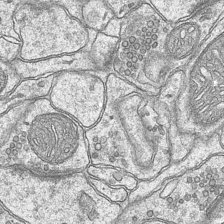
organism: Mouse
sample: CA1 Hippocampus